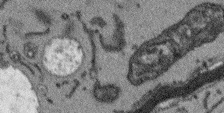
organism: Arabidopsis thaliana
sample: Root tip